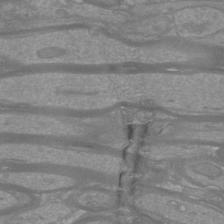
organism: Mouse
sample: Cortical neurons